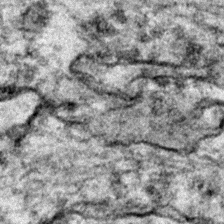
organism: Zebrafish